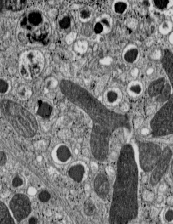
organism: C57BL Mouse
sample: Pancreatic islet